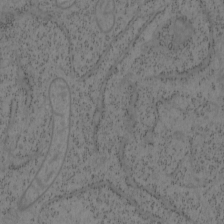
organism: Mouse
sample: OT-I killer T cells with ID8 ovarian cancer cells